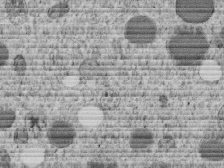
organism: C. elegans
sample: C. elegans embryo early stage